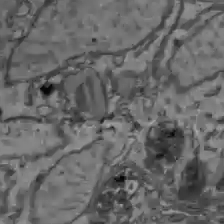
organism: C57BL Mouse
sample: Liver